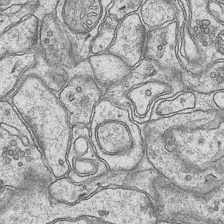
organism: Mouse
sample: CA1 Hippocampus